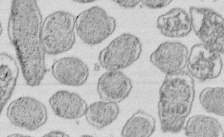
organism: E. coli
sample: Bacterial nucleoid